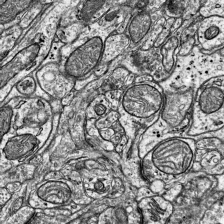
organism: Mouse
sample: Visual Cortex